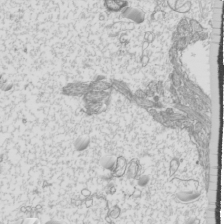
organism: Mouse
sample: Cilia; mouse epididymis